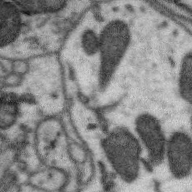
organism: Zebra finch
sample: Brain